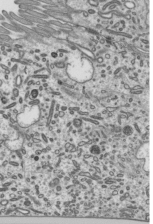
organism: Mouse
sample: Mouse epididymis efferent ductule cilia